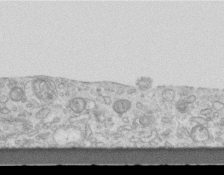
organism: Mouse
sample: Centriole in ependymal cells